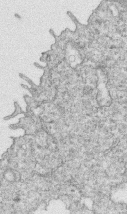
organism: Human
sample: HeLa cell HIV synapse